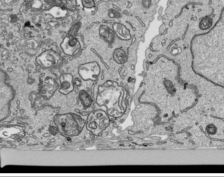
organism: Human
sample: Mitochondria in HCT116 cells